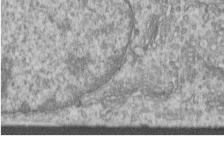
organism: Human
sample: Centriole in RPE cells